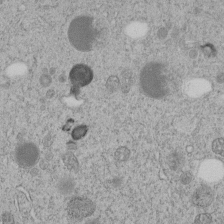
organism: C. elegans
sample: C. elegans embryo early stage